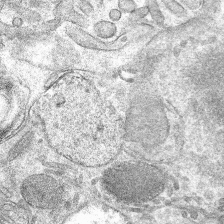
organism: Mouse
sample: Mouse hepatocytes